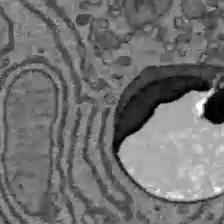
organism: C57BL Mouse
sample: Liver